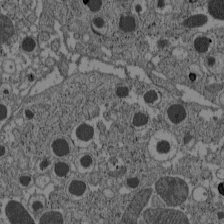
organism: C57BL Mouse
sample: Pancreatic islet